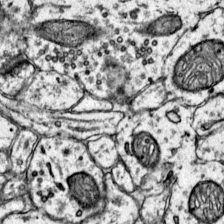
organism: Mouse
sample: Primary visual cortex